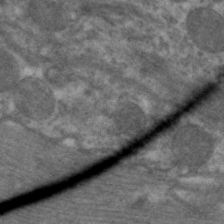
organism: C. elegans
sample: Pharynx